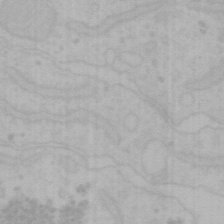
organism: Mouse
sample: Choroid plexus